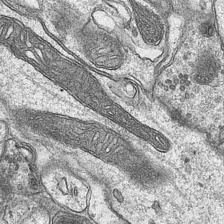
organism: Mouse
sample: CA1 Hippocampus